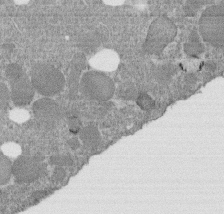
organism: C. elegans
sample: C. elegans embryo early stage